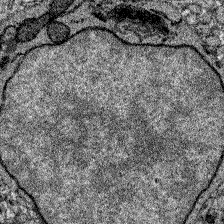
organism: Zebrafish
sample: Larval olfactory bulb